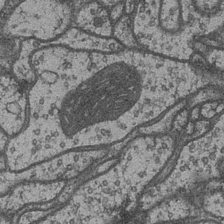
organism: Drosophila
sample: Optic medulla